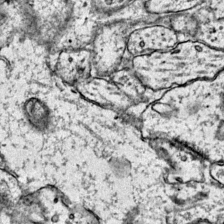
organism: Mouse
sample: Primary visual cortex